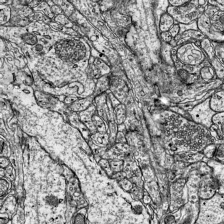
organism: Mouse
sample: Visual Cortex